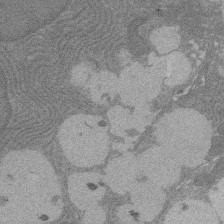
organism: Rat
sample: Salivary granule